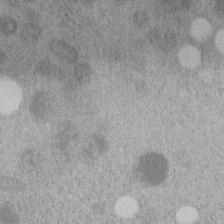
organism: C. elegans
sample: C. elegans embryo early stage